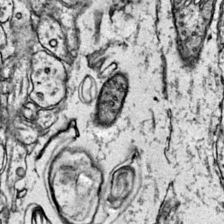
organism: Mouse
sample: Primary visual cortex